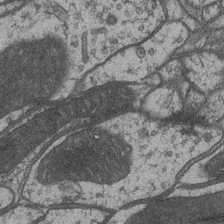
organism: Drosophila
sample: Optic medulla